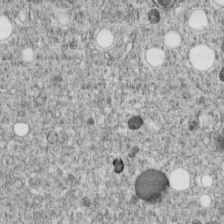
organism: C. elegans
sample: C. elegans embryo early stage